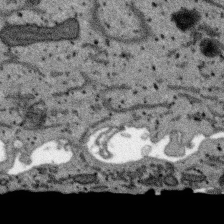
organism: Human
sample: Lung epithelial cells, uninfected (mock) control